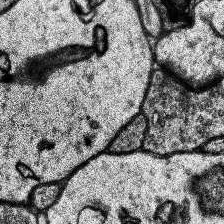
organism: Human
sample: Temporal Lobe